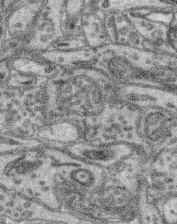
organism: Mouse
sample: Retina